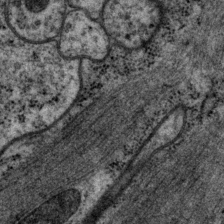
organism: P. pacificus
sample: Pharynx